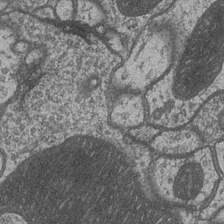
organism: Drosophila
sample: Optic medulla